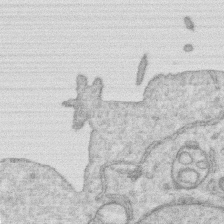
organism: Human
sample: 1205lu cells